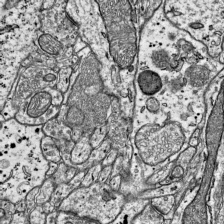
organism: Mouse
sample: Visual Cortex